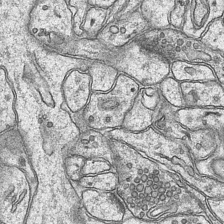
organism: Mouse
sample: CA1 Hippocampus